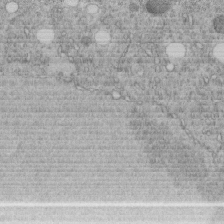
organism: C. elegans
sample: C. elegans embryo early stage